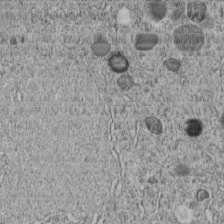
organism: C. elegans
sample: C. elegans embryo early stage